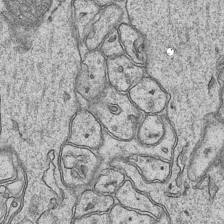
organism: Mouse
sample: CA1 Hippocampus